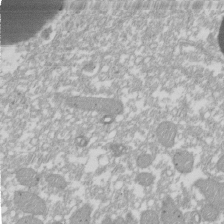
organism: Xenopus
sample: Cilia; centrioles in frog embryo cells